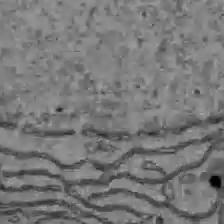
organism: C57BL Mouse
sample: Liver